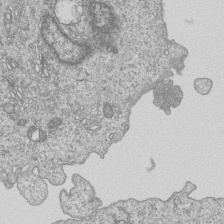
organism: Human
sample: MDA-MB-231 cells